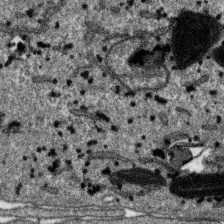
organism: Human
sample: Lung epithelial cells infected with SARS-CoV-2